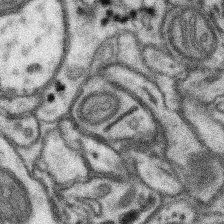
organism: Mouse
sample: Somatosensory cortex neuropil